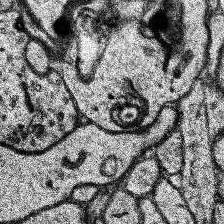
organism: Human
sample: Temporal Lobe